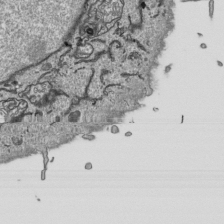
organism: Human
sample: Mitochondria in HCT116 cells